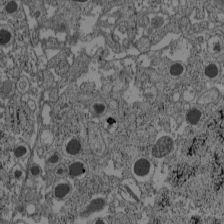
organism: C57BL Mouse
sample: Pancreatic islet